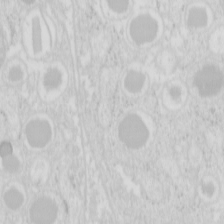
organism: Mouse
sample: Pancreas